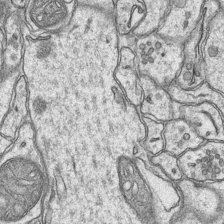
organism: Mouse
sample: CA1 Hippocampus